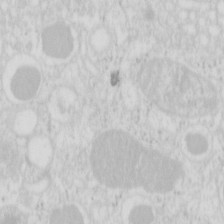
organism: Mouse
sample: Pancreas